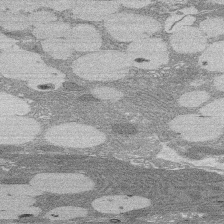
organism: Rat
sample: Salivary granule